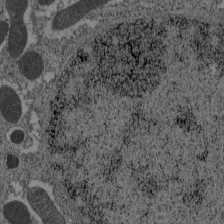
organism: C57BL Mouse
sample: Pancreatic islet